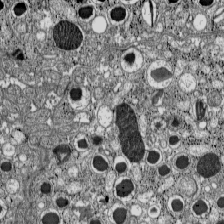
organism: C57BL Mouse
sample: Pancreatic islet